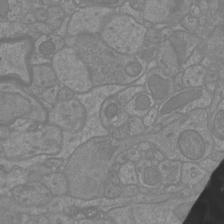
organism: Mouse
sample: Cortical neurons